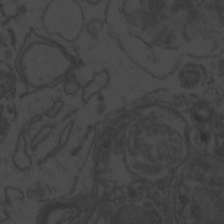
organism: Zebrafish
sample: Macrophage infected with Toxoplasma gondii